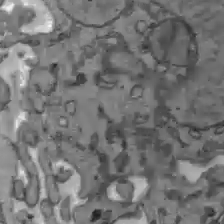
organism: C57BL Mouse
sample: Liver